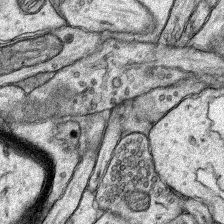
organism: Rat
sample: Hippocampus